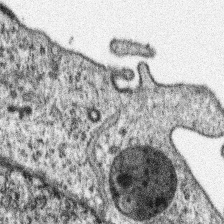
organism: Human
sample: HeLa cells